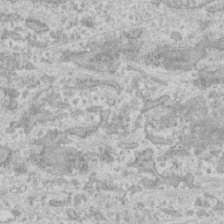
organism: Human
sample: CRL-1474